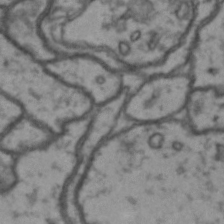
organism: Drosophila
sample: Brain